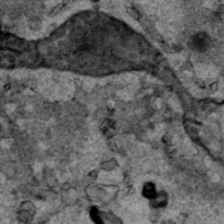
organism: Human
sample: Mitochondria in HCT116 cells